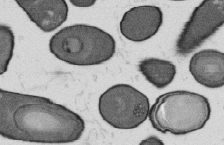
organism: B. subtilis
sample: Bacterial spore